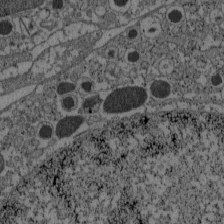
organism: C57BL Mouse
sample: Pancreatic islet